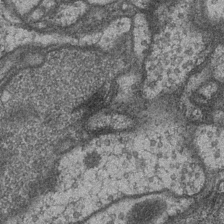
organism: Drosophila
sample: Optic medulla